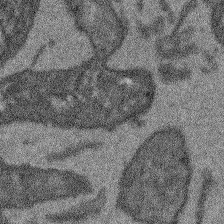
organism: Arabidopsis thaliana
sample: Root tip